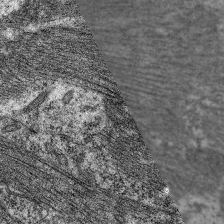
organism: C. elegans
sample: Pharynx